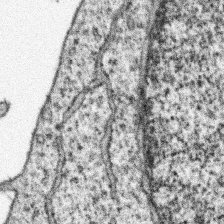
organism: Human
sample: HeLa cells